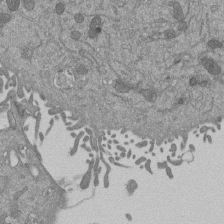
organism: Mouse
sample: ED-1 cell nuclei; centrioles